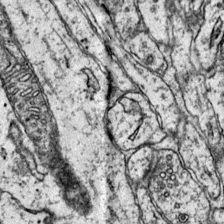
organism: Mouse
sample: Primary visual cortex